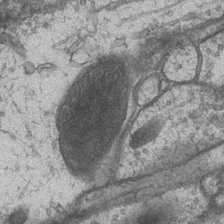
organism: Drosophila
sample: Optic medulla